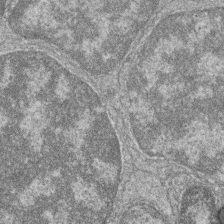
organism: Zebrafish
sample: Cilia; retinal pigment epithelium